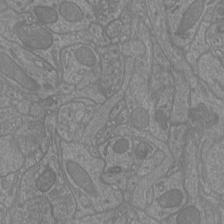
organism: Mouse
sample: Cortical neurons